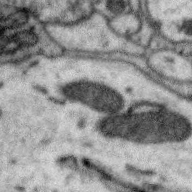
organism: Zebra finch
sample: Brain